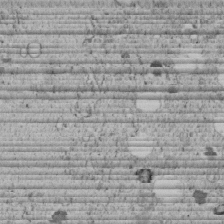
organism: C. elegans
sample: C. elegans embryo early stage